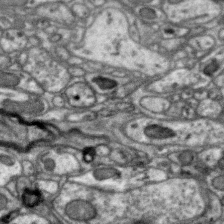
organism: Zebra finch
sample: Brain